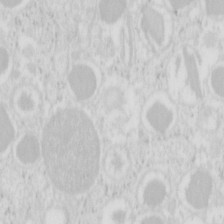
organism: Mouse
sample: Pancreas